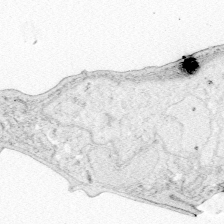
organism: Zebrafish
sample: Whole-Brain